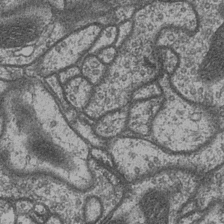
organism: Drosophila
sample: Optic medulla